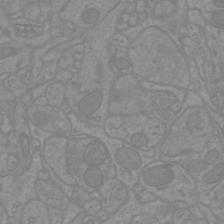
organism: Mouse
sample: Cortical neurons